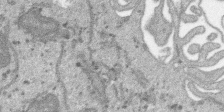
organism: Human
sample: Lung epithelial cells infected with SARS-CoV-2